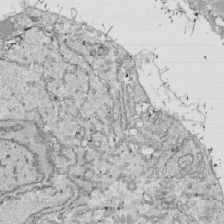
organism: Drosophila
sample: Cell division; meiosis; drosophila spermatocytes